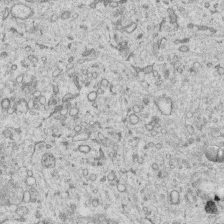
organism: Human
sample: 1205lu cells